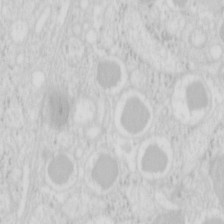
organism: Mouse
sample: Pancreas